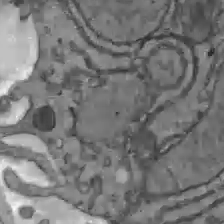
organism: C57BL Mouse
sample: Liver